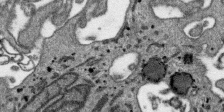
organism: Human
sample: Lung epithelial cells, uninfected (mock) control